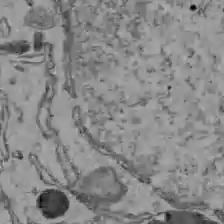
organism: C57BL Mouse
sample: Liver